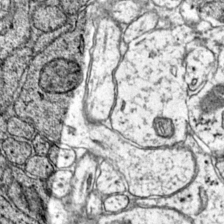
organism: Mouse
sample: Primary visual cortex